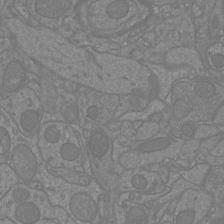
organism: Mouse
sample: Cortical neurons